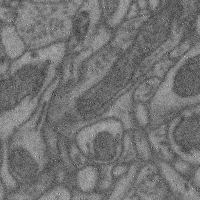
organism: Mouse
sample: Cerebral cortex